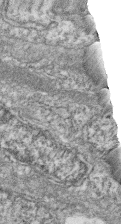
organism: Zebrafish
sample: Cilia; retinal pigment epithelium